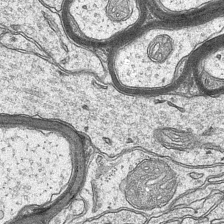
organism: Mouse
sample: CA1 Hippocampus